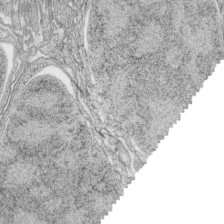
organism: Zebrafish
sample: synaptic ribbons in rod cells and cone cells